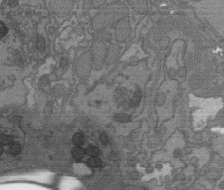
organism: C. elegans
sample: AFD neurons C. elegans